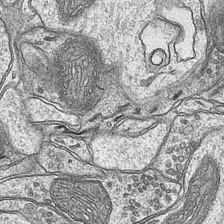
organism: Mouse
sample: CA1 Hippocampus